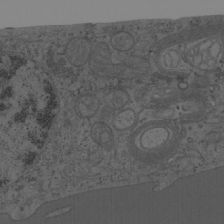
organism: Human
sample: HeLa cells